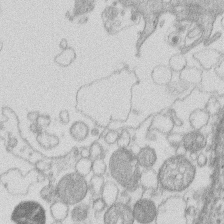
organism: Human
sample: Macrophage cells